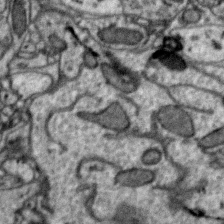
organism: Zebra finch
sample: Brain